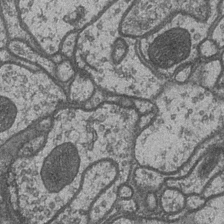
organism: Drosophila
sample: Optic medulla